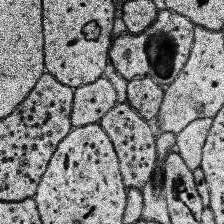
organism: Human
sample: Temporal Lobe